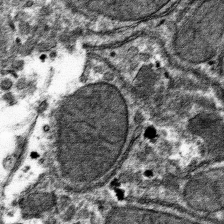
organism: Mouse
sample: Mouse hepatocytes